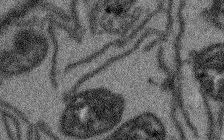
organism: Arabidopsis thaliana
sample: Root tip